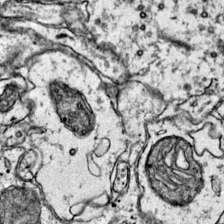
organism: Mouse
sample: Primary visual cortex